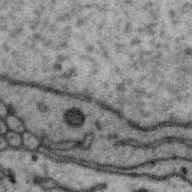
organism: Zebra finch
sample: Brain